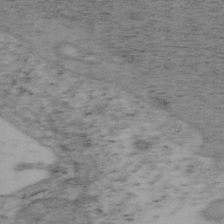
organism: Mouse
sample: OT-I killer T cells with ID8 ovarian cancer cells